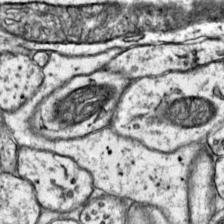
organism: Mouse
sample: Primary visual cortex